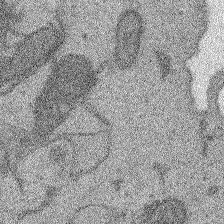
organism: Human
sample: HeLa cells